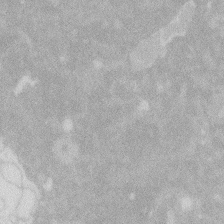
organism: Zebrafish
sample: Macrophage